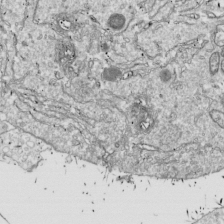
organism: Drosophila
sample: Cell division; meiosis; drosophila spermatocytes